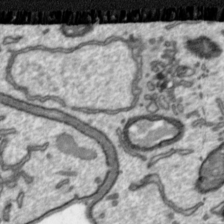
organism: Toxoplasma gondii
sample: Parasites in a vacuole inside a host cell